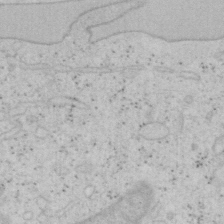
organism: Human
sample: HeLa cells